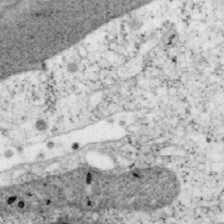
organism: Mouse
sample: OT-I killer T cells with ID8 ovarian cancer cells